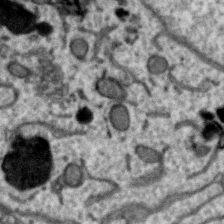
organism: Zebra finch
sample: Brain